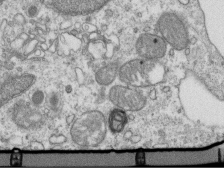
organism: Mouse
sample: Activated OT-1 CD8+ T cells